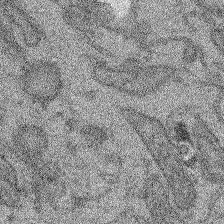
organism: Human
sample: HeLa cells